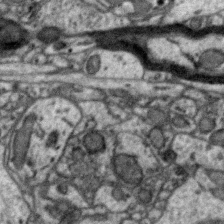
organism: Zebra finch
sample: Brain